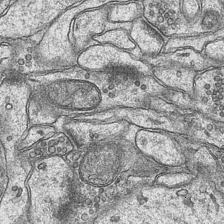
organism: Mouse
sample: CA1 Hippocampus